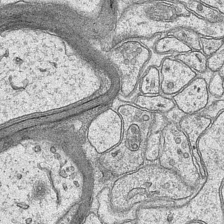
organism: Mouse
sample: CA1 Hippocampus